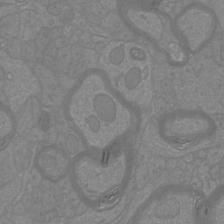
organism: Mouse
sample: Cortical neurons